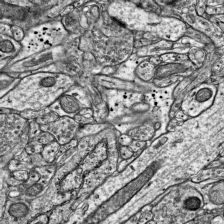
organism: Mouse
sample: Visual Cortex